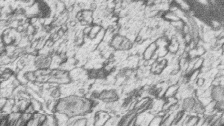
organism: Zebrafish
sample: synaptic ribbons in rod cells and cone cells